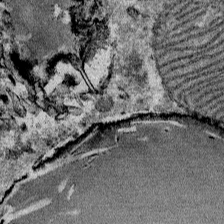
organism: Mouse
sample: Mouse Salivary gland